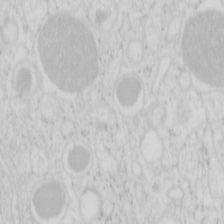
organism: Mouse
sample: Pancreas